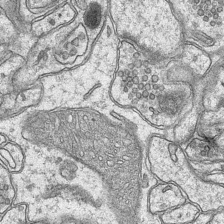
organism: Mouse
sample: CA1 Hippocampus